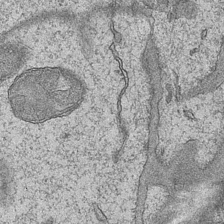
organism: Mouse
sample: CA1 Hippocampus